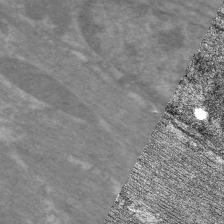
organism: C. elegans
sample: Pharynx